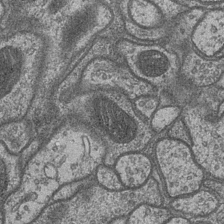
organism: Drosophila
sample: Optic medulla